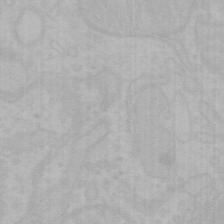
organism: Mouse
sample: Choroid plexus